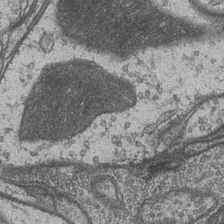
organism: Drosophila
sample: Optic medulla